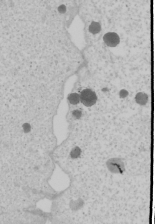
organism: Human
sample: Mitochondria in U2OS cells